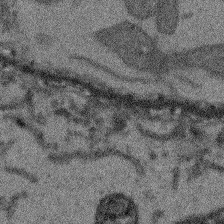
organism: Arabidopsis thaliana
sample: Root tip